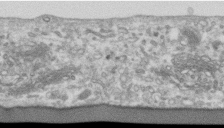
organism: Human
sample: Centriole in RPE cells